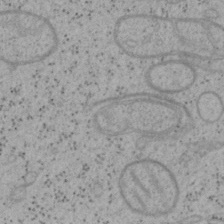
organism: Human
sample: HeLa cells